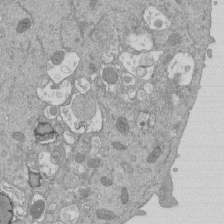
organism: Mouse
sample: ED-1 cell nuclei; centrioles